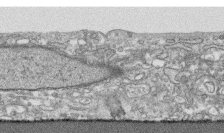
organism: Human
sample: CRL-1474